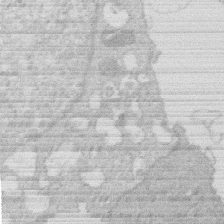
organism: Human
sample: Macrophage cells